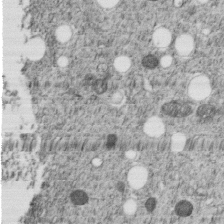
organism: C. elegans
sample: C. elegans embryo early stage